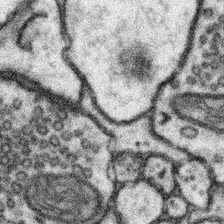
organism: Mouse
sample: Somatosensory cortex neuropil